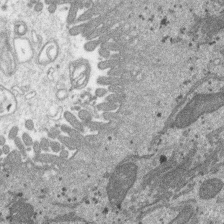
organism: Human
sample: Lung epithelial cells infected with SARS-CoV-2